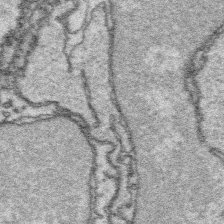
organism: Platynereis dumerilii